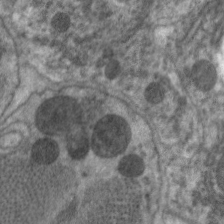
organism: C. elegans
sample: Pharynx